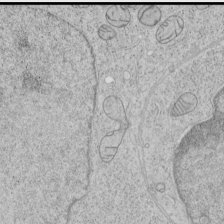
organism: Human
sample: Mitochondria in HCT116 cells